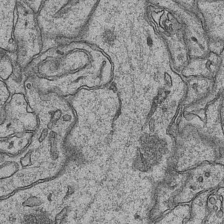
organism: Mouse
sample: CA1 Hippocampus